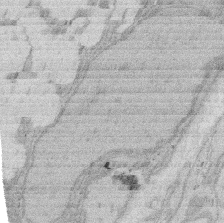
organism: Rat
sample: Salivary granule